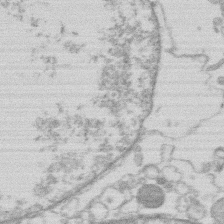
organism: Human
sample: Macrophage cells